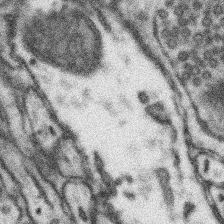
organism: Mouse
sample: Somatosensory cortex neuropil